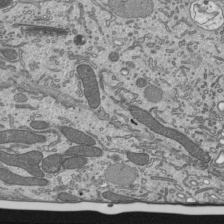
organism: Mouse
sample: Mouse epididymis efferent ductule cilia